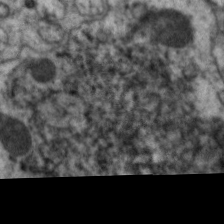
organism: C. elegans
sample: Pharynx